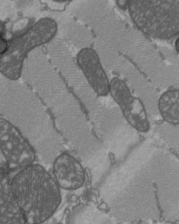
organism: C57BL Mouse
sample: Heart